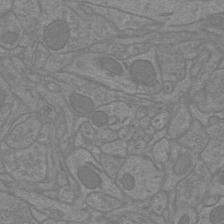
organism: Mouse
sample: Cortical neurons